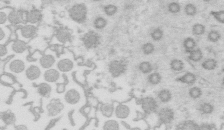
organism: Mouse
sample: Multiciliated cells